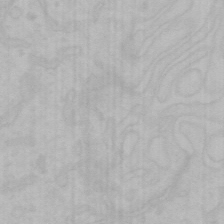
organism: Mouse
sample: Choroid plexus